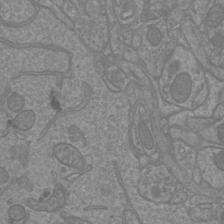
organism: Mouse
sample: Cortical neurons